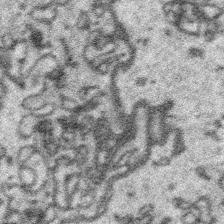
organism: Platynereis dumerilii